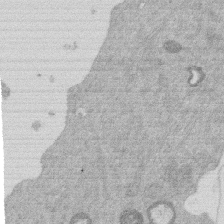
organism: Mouse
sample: Dividing mouse embryo 1 cell stage